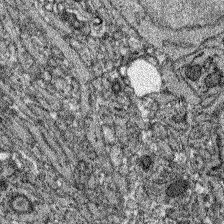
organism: Zebrafish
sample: Larval olfactory bulb